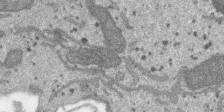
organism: Human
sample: Lung epithelial cells infected with SARS-CoV-2